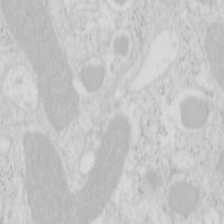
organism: Mouse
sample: Pancreas